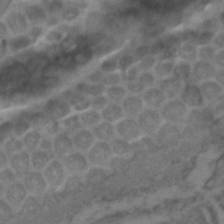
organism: C. elegans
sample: C. elegans embryo